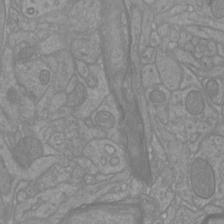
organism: Mouse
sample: Cortical neurons